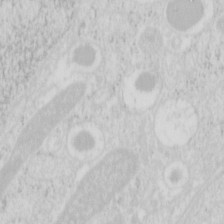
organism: Mouse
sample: Pancreas